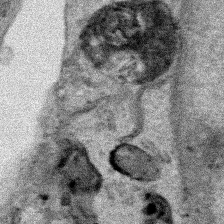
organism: Human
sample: Mitochondria in HCT116 cells